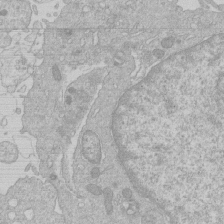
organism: Human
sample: Macrophage cells